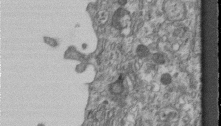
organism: Mouse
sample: Centriole in ependymal cells